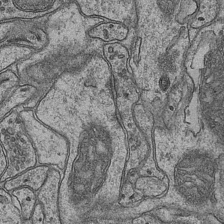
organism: Mouse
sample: CA1 Hippocampus